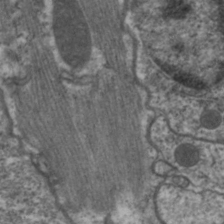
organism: C. elegans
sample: Pharynx